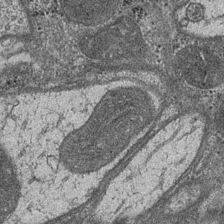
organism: Drosophila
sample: Optic medulla